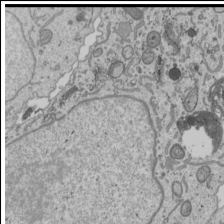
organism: Human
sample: Mitochondria in U2OS cells